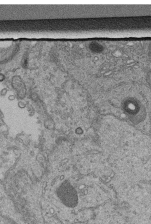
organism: Human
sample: Retinal organoid Rod and Cone cells